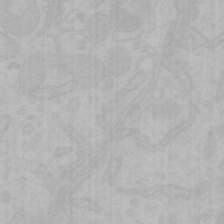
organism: Mouse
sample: Choroid plexus